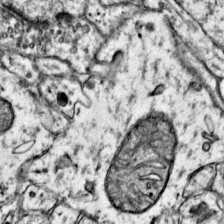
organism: Mouse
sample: Primary visual cortex